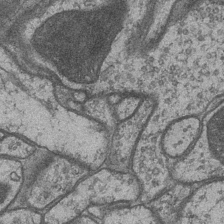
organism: Drosophila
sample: Optic medulla